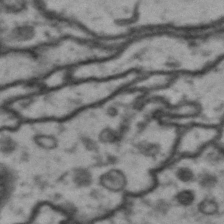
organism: Drosophila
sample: Brain